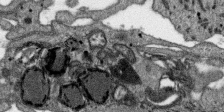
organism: Human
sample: Lung epithelial cells, uninfected (mock) control